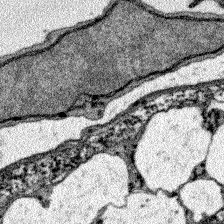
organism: Zebrafish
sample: Larval olfactory bulb